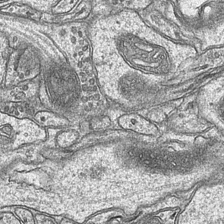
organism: Mouse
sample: CA1 Hippocampus